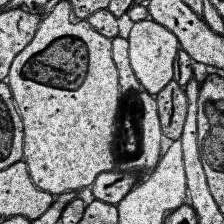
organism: Human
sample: Temporal Lobe